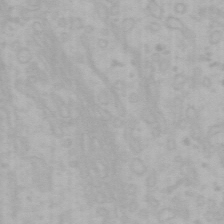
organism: Mouse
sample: Choroid plexus